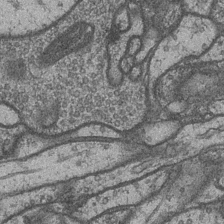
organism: Drosophila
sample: Optic medulla